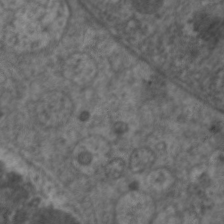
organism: C. elegans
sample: Pharynx